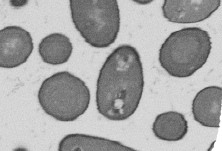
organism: B. subtilis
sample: Bacterial spore